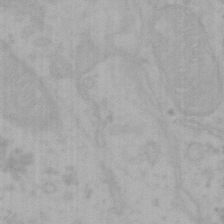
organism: Mouse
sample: Choroid plexus